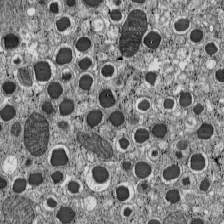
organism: C57BL Mouse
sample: Pancreatic islet